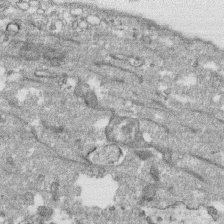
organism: Human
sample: CRL-1474